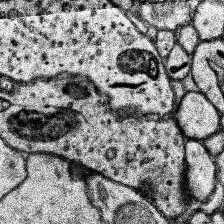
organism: Human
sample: Temporal Lobe